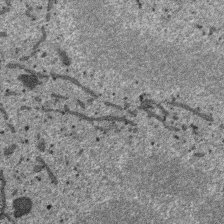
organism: Human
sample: Lung epithelial cells infected with SARS-CoV-2